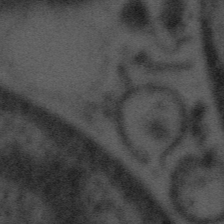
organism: Tuwongella immobilis